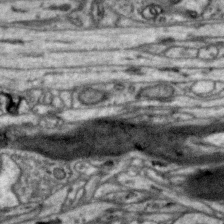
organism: Zebra finch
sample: Brain